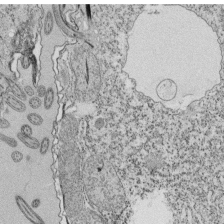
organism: Tetrahymena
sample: Cilia in tetrahymena